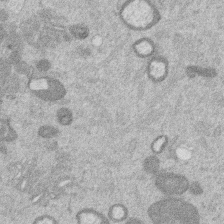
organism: Mouse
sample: Dividing mouse embryo 1 cell stage